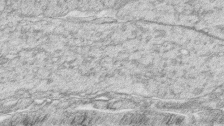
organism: Zebrafish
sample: synaptic ribbons in rod cells and cone cells